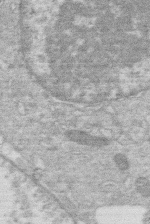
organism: Human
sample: Macrophage cells